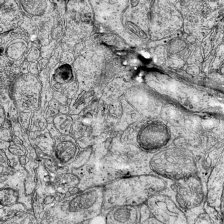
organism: Mouse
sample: Visual Cortex